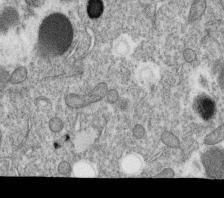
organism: C. elegans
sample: C. elegans oocyte; sperm cells